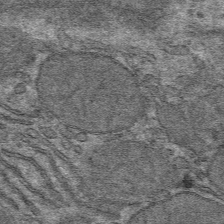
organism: Mouse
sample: Mouse hepatocytes